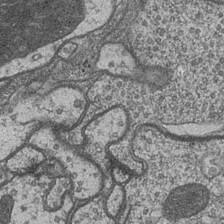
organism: Drosophila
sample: Optic medulla